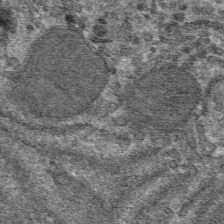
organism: Mouse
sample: Mouse hepatocytes